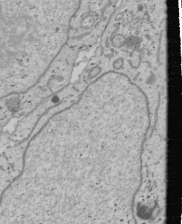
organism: Human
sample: Mitochondria in U2OS cells